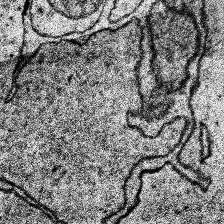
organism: Human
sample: Temporal Lobe